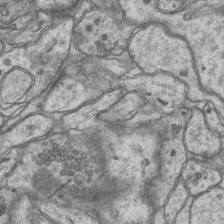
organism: Mouse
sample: CA1 Hippocampus